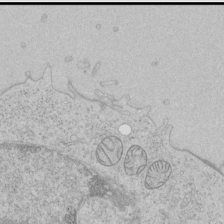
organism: Human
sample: Mitochondria in HCT116 cells